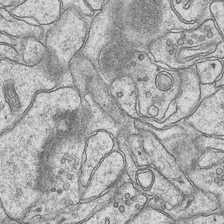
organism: Mouse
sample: CA1 Hippocampus